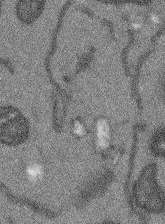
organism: Arabidopsis thaliana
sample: Root tip